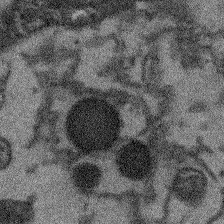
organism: Arabidopsis thaliana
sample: Root tip